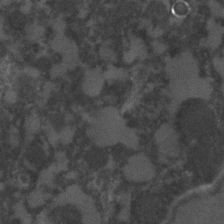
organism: C. elegans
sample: C. elegans embryo